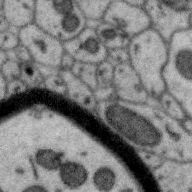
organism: Zebra finch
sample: Brain